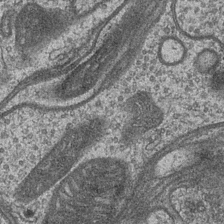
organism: Drosophila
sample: Optic medulla